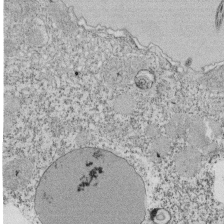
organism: Tetrahymena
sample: Cilia in tetrahymena